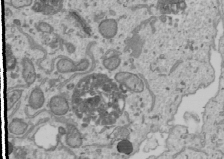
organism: Human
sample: Mitochondria in U2OS cells